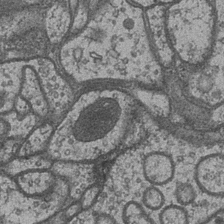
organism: Drosophila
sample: Optic medulla